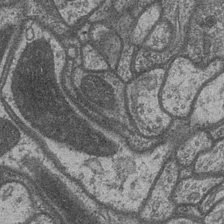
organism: Drosophila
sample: Optic medulla